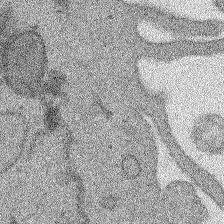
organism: Human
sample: HeLa cells